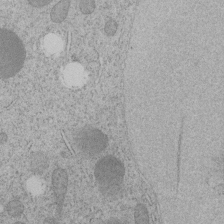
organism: C. elegans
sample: C. elegans embryo early stage